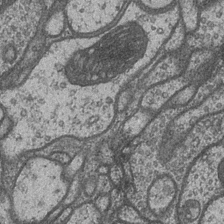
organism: Drosophila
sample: Optic medulla